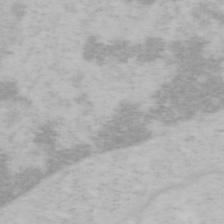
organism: Mouse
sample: OT-I killer T cells with ID8 ovarian cancer cells